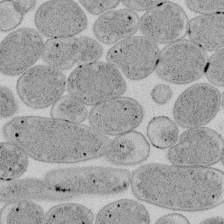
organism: E. coli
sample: Bacterial nucleoid